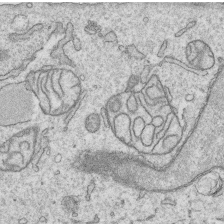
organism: Human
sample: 1205lu cells